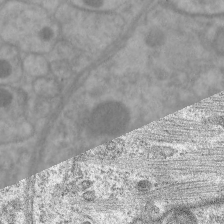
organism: C. elegans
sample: Pharynx